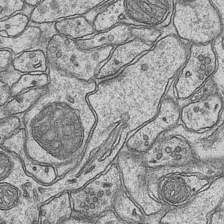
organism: Mouse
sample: CA1 Hippocampus